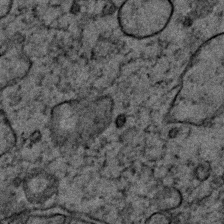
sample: Trachea